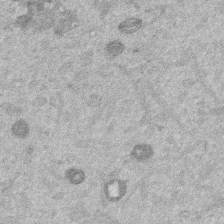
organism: Mouse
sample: Dividing mouse embryo 1 cell stage